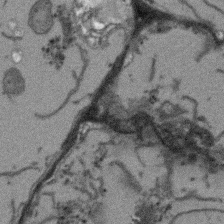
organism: Arabidopsis thaliana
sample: Root tip